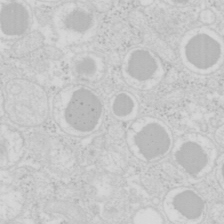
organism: Mouse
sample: Pancreas